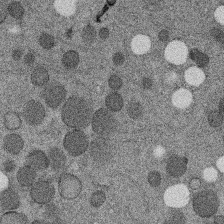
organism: C. elegans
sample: C. elegans embryo early stage